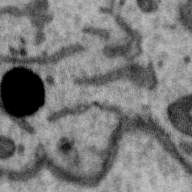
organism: Zebra finch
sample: Brain